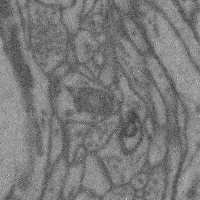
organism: Mouse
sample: Cerebral cortex